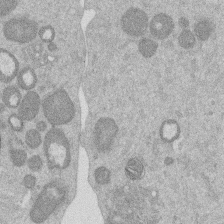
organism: Mouse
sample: Dividing mouse embryo 1 cell stage